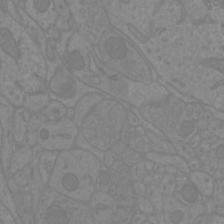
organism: Mouse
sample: Cortical neurons